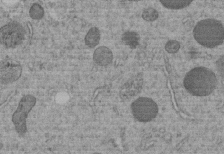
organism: C. elegans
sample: C. elegans embryo early stage